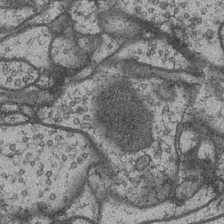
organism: Drosophila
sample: Optic medulla